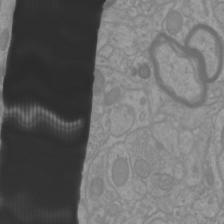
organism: Mouse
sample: Cortical neurons